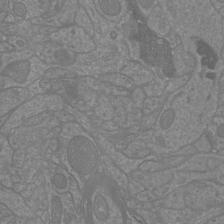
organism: Mouse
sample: Cortical neurons